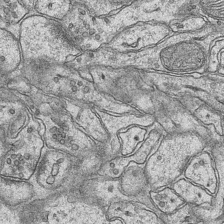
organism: Mouse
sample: CA1 Hippocampus